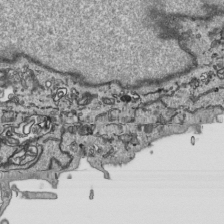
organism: Human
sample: Mitochondria in HCT116 cells